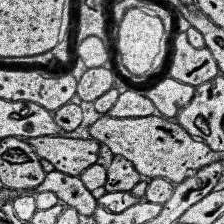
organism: Human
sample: Temporal Lobe